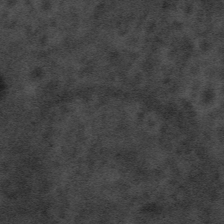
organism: Tuwongella immobilis